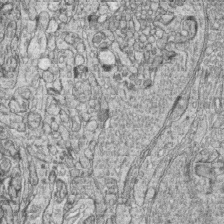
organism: Zebrafish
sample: synaptic ribbons in rod cells and cone cells